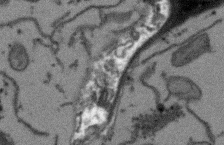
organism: Arabidopsis thaliana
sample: Root tip